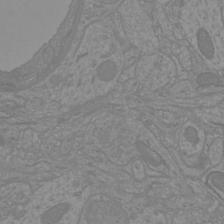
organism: Mouse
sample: Cortical neurons